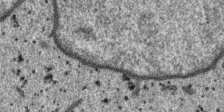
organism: Human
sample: Lung epithelial cells infected with SARS-CoV-2